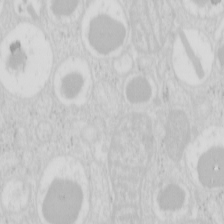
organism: Mouse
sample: Pancreas